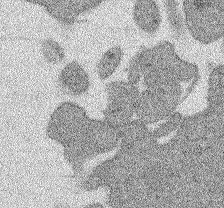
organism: Human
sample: HeLa cells